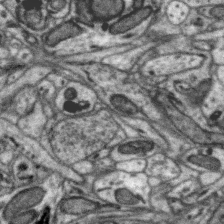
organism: Zebra finch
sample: Brain